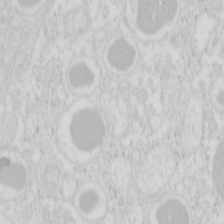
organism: Mouse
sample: Pancreas